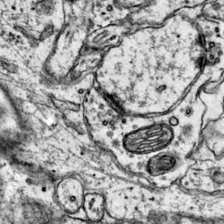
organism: Mouse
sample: Primary visual cortex